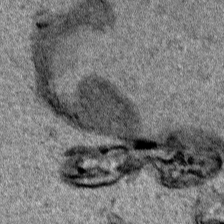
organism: Human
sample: Mitochondria in HCT116 cells